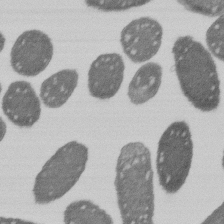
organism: E. coli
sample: Bacterial nucleoid